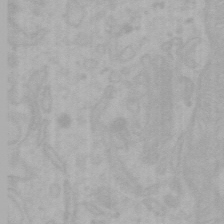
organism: Mouse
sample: Choroid plexus